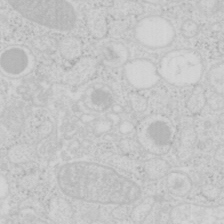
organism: Mouse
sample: Pancreas